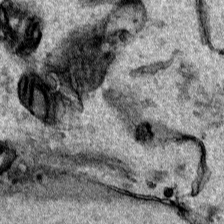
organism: Human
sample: Mitochondria in HCT116 cells